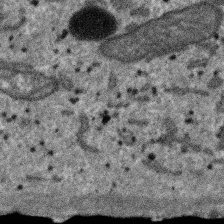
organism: Human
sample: Lung epithelial cells infected with SARS-CoV-2